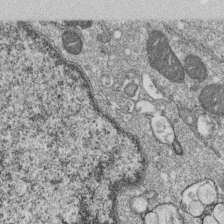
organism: African green monkey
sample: Vero E6 cells infected with SARS-CoV-2